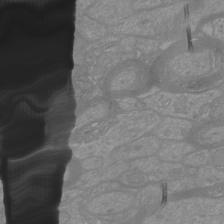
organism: Mouse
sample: Cortical neurons